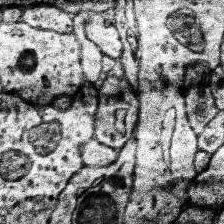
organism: Human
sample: Temporal Lobe